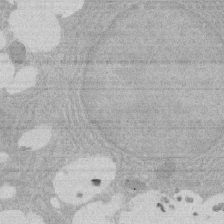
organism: Rat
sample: Salivary granule